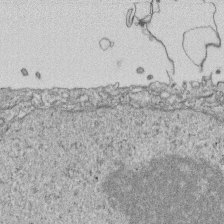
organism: Human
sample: HeLa cell HIV synapse